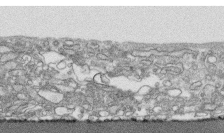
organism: Human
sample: CRL-1474